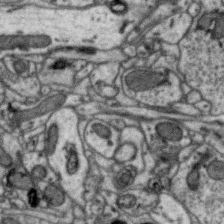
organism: Zebra finch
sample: Brain